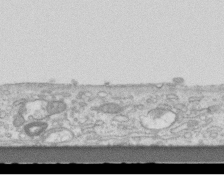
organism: Mouse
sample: Centriole in ependymal cells